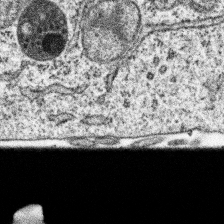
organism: Human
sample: HeLa cells